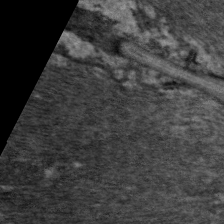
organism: C. elegans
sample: Pharynx